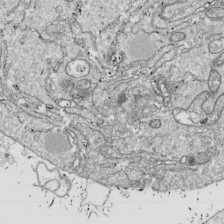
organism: Drosophila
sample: Cell division; meiosis; drosophila spermatocytes